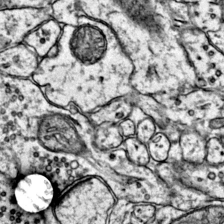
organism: Mouse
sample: Primary visual cortex